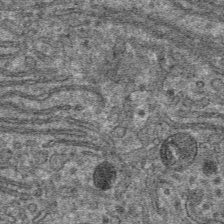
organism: Mouse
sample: Mouse hepatocytes